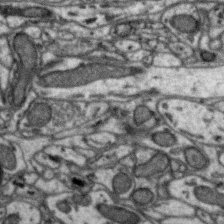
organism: Zebra finch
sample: Brain